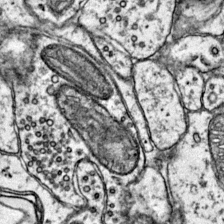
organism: Mouse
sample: Primary visual cortex